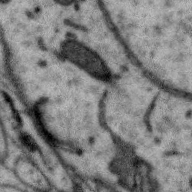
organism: Zebra finch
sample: Brain